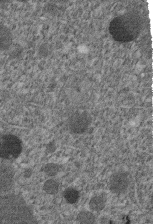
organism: C. elegans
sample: C. elegans embryo early stage